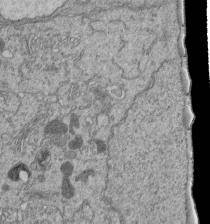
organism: Human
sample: Retinal organoid Rod and Cone cells